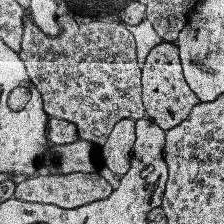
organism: Human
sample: Temporal Lobe